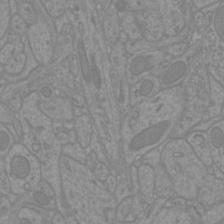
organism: Mouse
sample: Cortical neurons